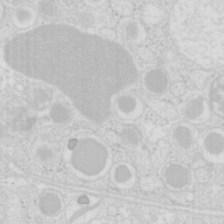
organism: Mouse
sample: Pancreas